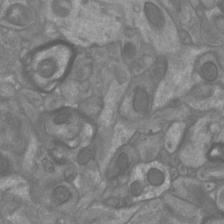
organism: Mouse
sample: Cortical neurons